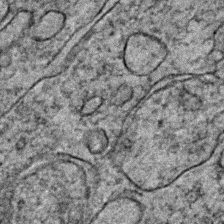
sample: Trachea